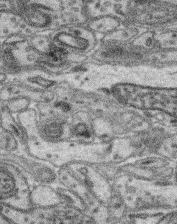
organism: Mouse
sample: Retina